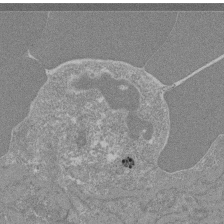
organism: Mouse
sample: Glomerulus